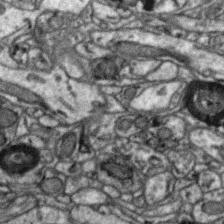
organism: Zebra finch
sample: Brain